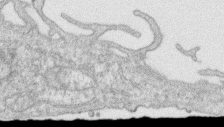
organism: Human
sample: HeLa cell HIV synapse